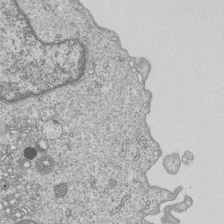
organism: Human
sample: MDA-MB-231 cells